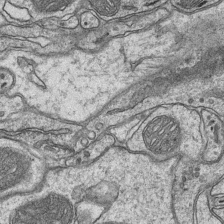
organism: Mouse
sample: CA1 Hippocampus